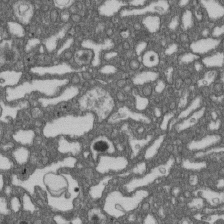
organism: Drosophila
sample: Nephrocyte